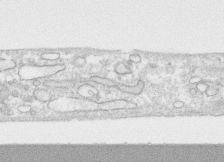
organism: Human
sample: CRL-1474